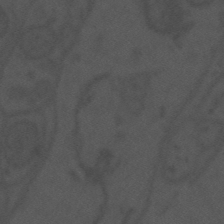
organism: Mouse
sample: Suprachiasmatic nucleus